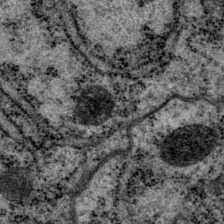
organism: P. pacificus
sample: Pharynx